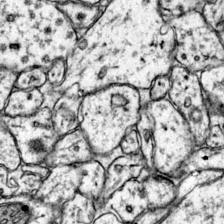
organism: Mouse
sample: Primary visual cortex